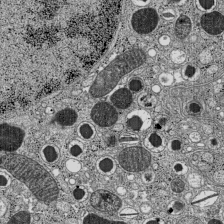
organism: C57BL Mouse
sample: Pancreatic islet